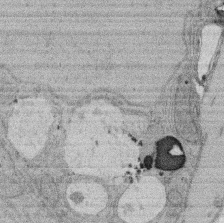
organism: Rat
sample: Salivary granule